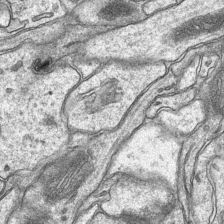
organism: Mouse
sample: CA1 Hippocampus